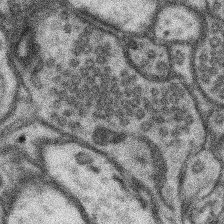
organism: Mouse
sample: Somatosensory cortex neuropil